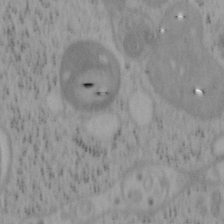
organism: Mouse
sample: OT-I killer T cells with ID8 ovarian cancer cells